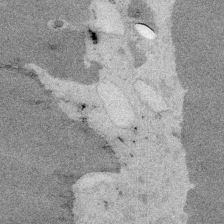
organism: Embia sp.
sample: Silk gland